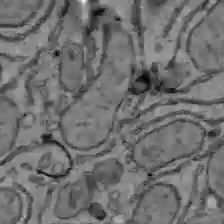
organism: C57BL Mouse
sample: Liver